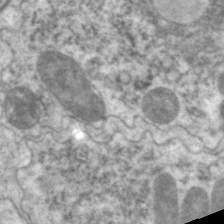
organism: C. elegans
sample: Pharynx